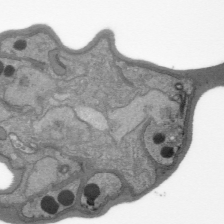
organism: Plasmodium falciparum